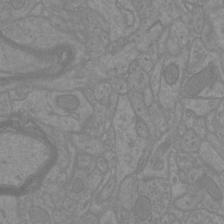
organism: Mouse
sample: Cortical neurons